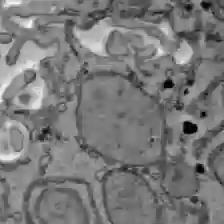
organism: C57BL Mouse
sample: Liver